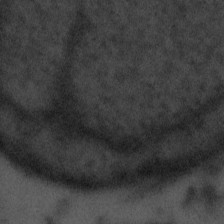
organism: Tuwongella immobilis